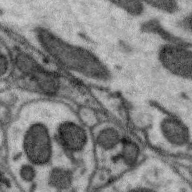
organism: Zebra finch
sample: Brain